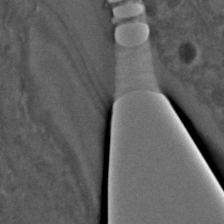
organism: C. elegans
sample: C. elegans embryo